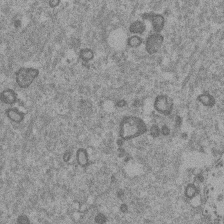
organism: Mouse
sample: Dividing mouse embryo 1 cell stage